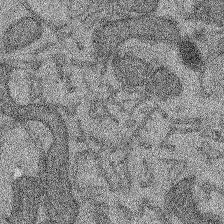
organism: Human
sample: HeLa cells